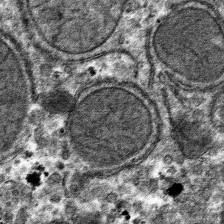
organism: Mouse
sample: Mouse hepatocytes